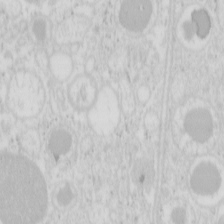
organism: Mouse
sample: Pancreas